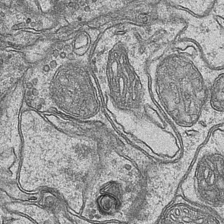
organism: Mouse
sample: CA1 Hippocampus